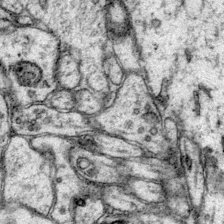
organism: Mouse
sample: Primary visual cortex